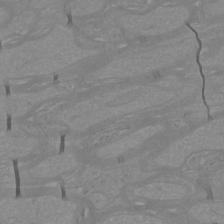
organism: Mouse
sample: Cortical neurons